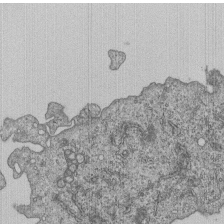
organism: Human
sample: MDA-MB-231 cells